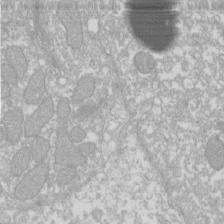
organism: Xenopus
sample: Cilia; centrioles in frog embryo cells